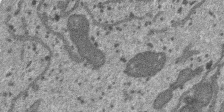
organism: Human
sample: Lung epithelial cells infected with SARS-CoV-2